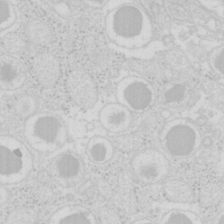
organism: Mouse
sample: Pancreas